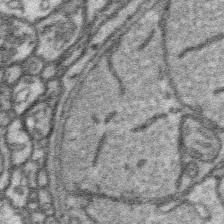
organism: Platynereis dumerilii